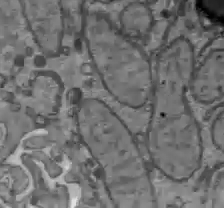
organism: C57BL Mouse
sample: Liver